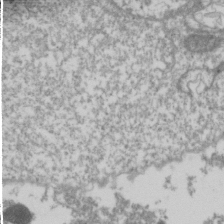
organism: Drosophila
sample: Cell division; meiosis; drosophila spermatocytes